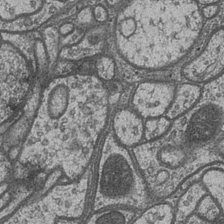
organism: Drosophila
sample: Optic medulla